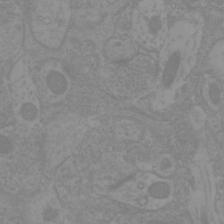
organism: Mouse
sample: Cortical neurons